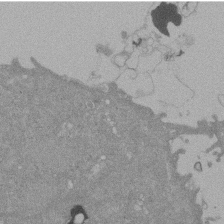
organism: Mouse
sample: ED-1 cell nuclei; centrioles